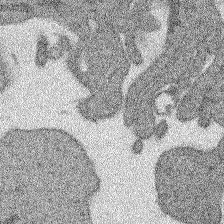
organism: Human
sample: HeLa cells